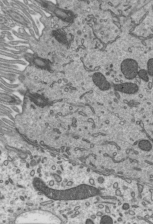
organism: Mouse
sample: Mouse epididymis efferent ductule cilia